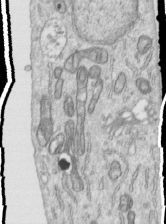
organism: Human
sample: Centriole in RPE cells